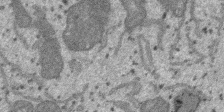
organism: Human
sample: Lung epithelial cells infected with SARS-CoV-2